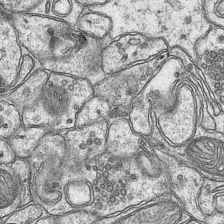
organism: Mouse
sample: CA1 Hippocampus